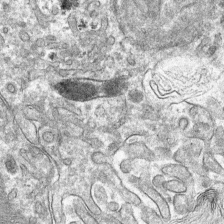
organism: Mouse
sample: Mouse hepatocytes